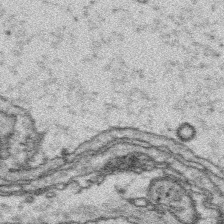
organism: Platynereis dumerilii